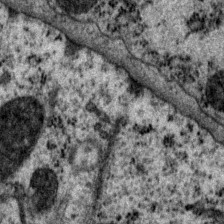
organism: P. pacificus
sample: Pharynx